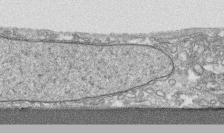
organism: Human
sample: CRL-1474